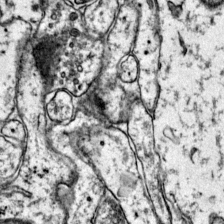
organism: Mouse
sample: Primary visual cortex